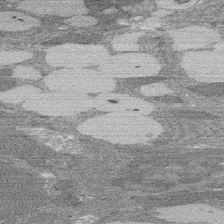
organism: Rat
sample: Salivary granule